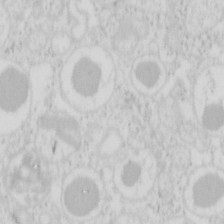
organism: Mouse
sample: Pancreas